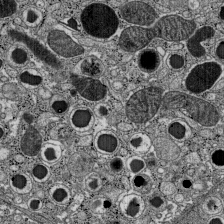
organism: C57BL Mouse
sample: Pancreatic islet